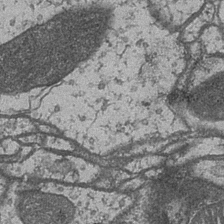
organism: Drosophila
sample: Optic medulla